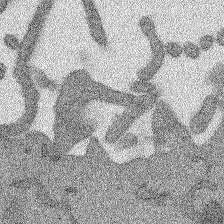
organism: Human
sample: HeLa cells